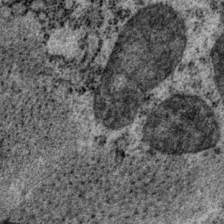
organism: P. pacificus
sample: Pharynx